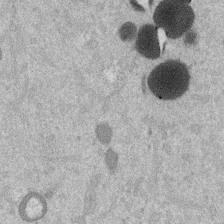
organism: Mouse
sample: Dividing mouse embryo 1 cell stage